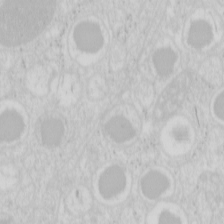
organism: Mouse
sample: Pancreas